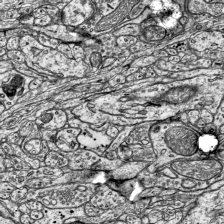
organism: Mouse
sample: Visual Cortex